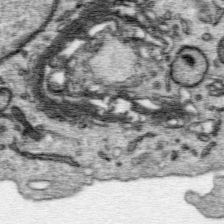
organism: Human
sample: HeLa cells